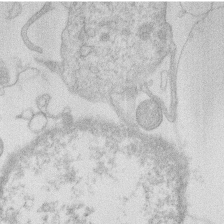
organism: Human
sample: Macrophage cells